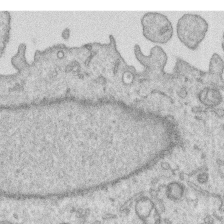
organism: Human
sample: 1205lu cells